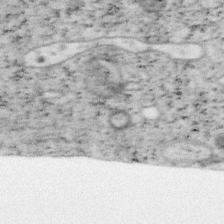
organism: Mouse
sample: OT-I killer T cells with ID8 ovarian cancer cells